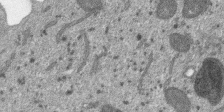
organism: Human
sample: Lung epithelial cells infected with SARS-CoV-2